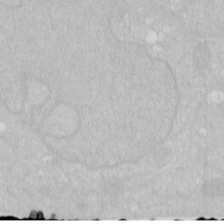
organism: Human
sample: HIV infected U937 cells